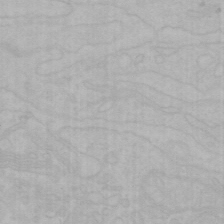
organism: Mouse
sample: Choroid plexus